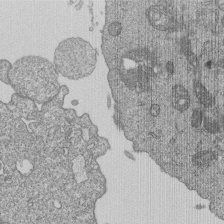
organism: Human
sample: MDA-MB-231 cells